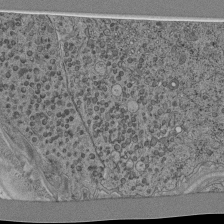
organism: C. elegans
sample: C. elegans pharynx